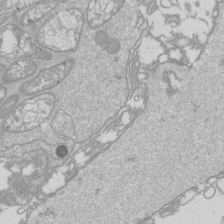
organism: Drosophila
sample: Cell division; meiosis; drosophila spermatocytes